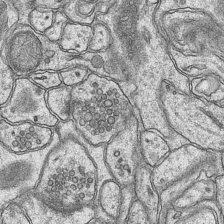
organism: Mouse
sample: CA1 Hippocampus